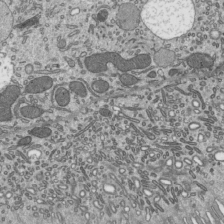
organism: Mouse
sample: Mouse epididymis efferent ductule cilia